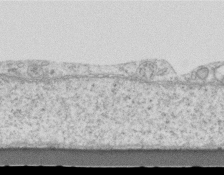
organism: Mouse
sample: Centriole in ependymal cells